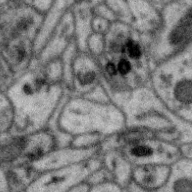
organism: Zebra finch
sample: Brain